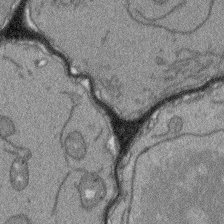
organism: Arabidopsis thaliana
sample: Root tip